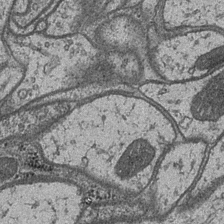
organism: Drosophila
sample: Optic medulla